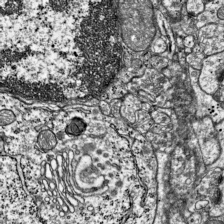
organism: Mouse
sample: Visual Cortex